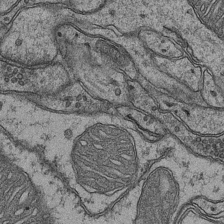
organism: Mouse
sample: CA1 Hippocampus